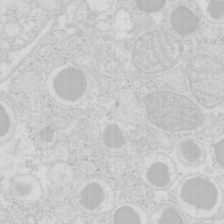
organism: Mouse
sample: Pancreas